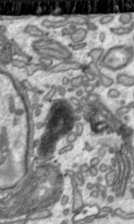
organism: Toxoplasma gondii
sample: Parasites in a vacuole inside a host cell